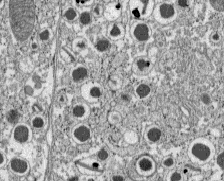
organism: C57BL Mouse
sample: Pancreatic islet